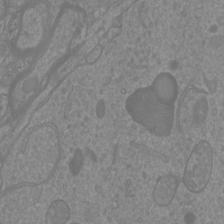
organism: Mouse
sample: Cortical neurons